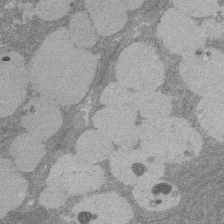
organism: Rat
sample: Salivary granule